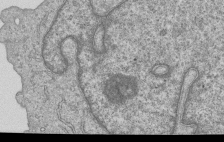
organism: Human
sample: MDA-MB-231 cells